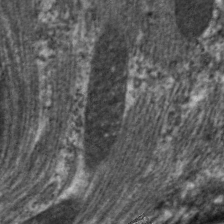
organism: C. elegans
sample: Pharynx